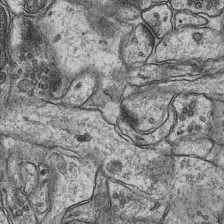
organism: Mouse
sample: CA1 Hippocampus